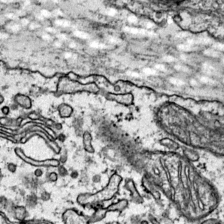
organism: Mouse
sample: Primary visual cortex